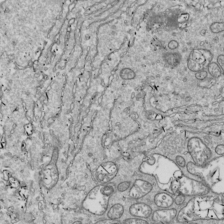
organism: Drosophila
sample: Cell division; meiosis; drosophila spermatocytes